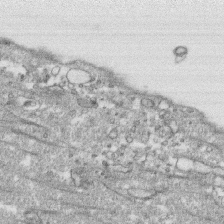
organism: Human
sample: CRL-1474